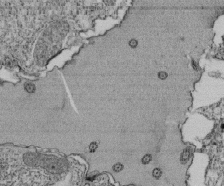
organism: Tetrahymena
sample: Cilia in tetrahymena